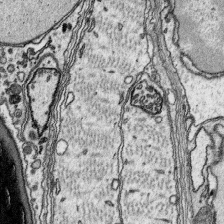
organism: Platynereis dumerilii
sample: Parapodia